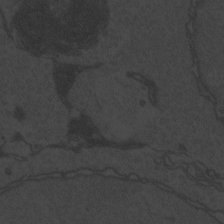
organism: Zebrafish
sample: Macrophage infected with Toxoplasma gondii